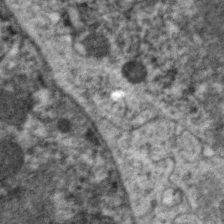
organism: C. elegans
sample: Pharynx